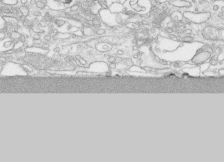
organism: Human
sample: CRL-1474